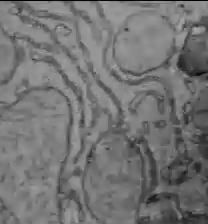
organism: C57BL Mouse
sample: Liver